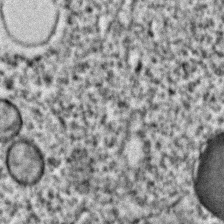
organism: C. elegans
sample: C. elegans embryo